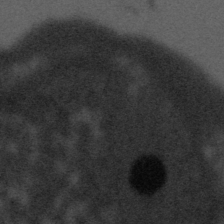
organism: Tuwongella immobilis